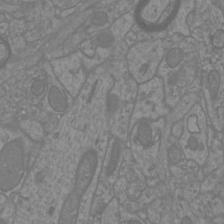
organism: Mouse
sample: Cortical neurons